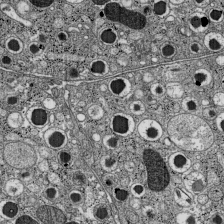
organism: C57BL Mouse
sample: Pancreatic islet